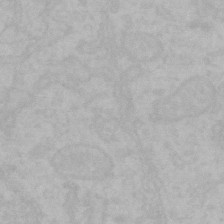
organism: Mouse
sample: Choroid plexus